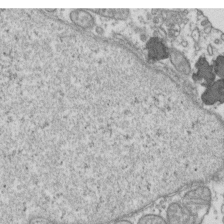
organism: Human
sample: Activated Jurkat CD4+ T cells